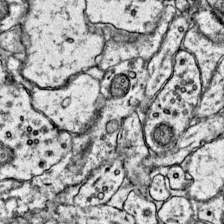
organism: Mouse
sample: Primary visual cortex